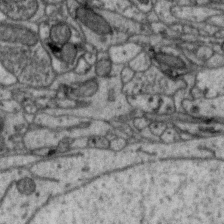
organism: Zebra finch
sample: Brain